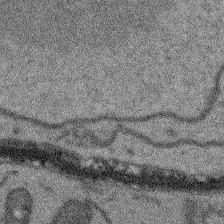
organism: Arabidopsis thaliana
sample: Root tip